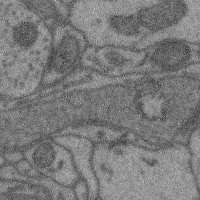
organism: Mouse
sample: Cerebral cortex